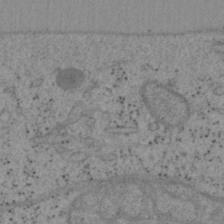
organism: Human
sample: HeLa cells